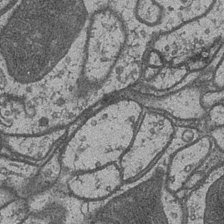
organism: Drosophila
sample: Optic medulla